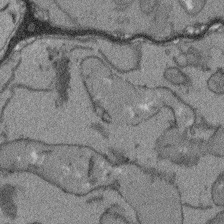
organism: Arabidopsis thaliana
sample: Root tip